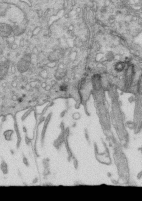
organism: Mouse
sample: Multiciliated cells